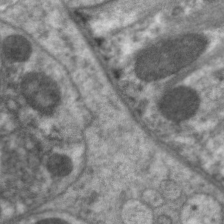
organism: C. elegans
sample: Pharynx